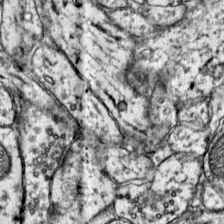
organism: Mouse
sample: Primary visual cortex